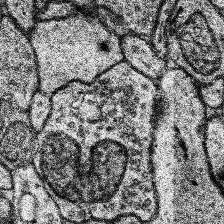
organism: Human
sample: Temporal Lobe